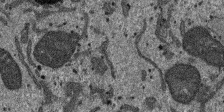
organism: Human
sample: Lung epithelial cells infected with SARS-CoV-2